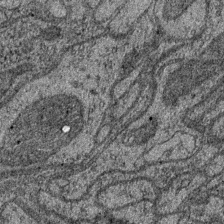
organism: Drosophila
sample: Optic medulla